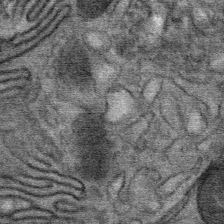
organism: Mouse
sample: Mouse Salivary gland